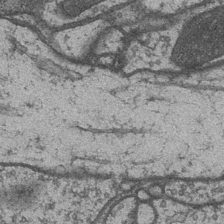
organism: Drosophila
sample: Optic medulla